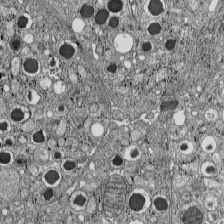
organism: C57BL Mouse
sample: Pancreatic islet